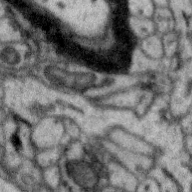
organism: Zebra finch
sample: Brain